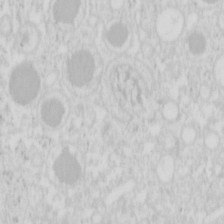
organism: Mouse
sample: Pancreas